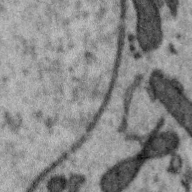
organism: Zebra finch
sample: Brain